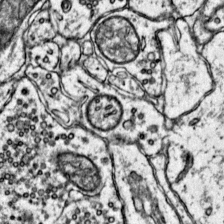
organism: Mouse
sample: Primary visual cortex